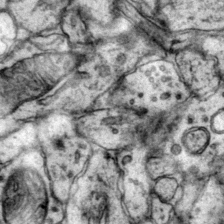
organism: Mouse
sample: Primary visual cortex